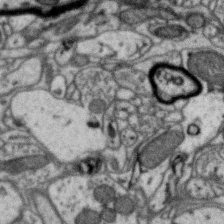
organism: Zebra finch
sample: Brain